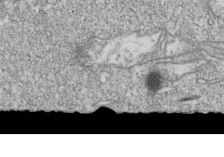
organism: Human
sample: HeLa cell HIV synapse